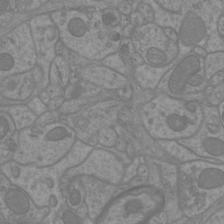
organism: Mouse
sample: Cortical neurons